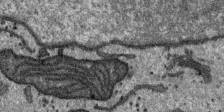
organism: Human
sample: Lung epithelial cells, uninfected (mock) control